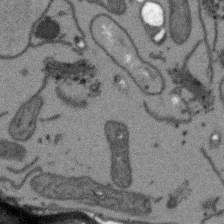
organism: Arabidopsis thaliana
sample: Root tip